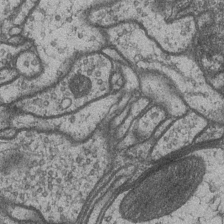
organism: Drosophila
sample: Optic medulla